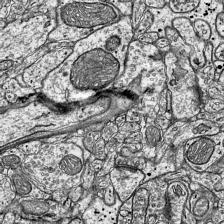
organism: Mouse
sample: Visual Cortex